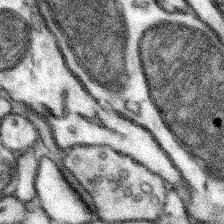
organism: Mouse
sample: Somatosensory cortex neuropil